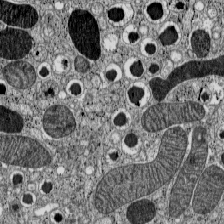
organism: C57BL Mouse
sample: Pancreatic islet